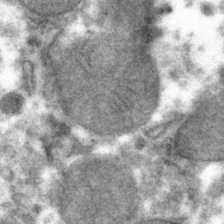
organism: Mouse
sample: Mouse hepatocytes